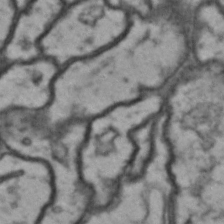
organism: Drosophila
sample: Brain